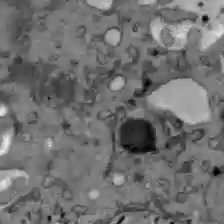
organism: C57BL Mouse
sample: Liver